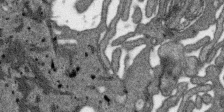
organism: Human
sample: Lung epithelial cells, uninfected (mock) control